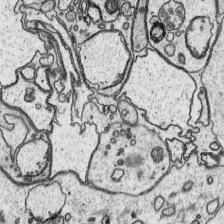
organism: Platynereis dumerilii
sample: Parapodia